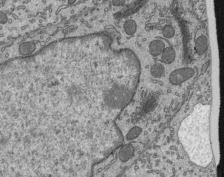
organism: Mouse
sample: Mouse epididymis efferent ductule cilia